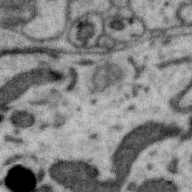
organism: Zebra finch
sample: Brain